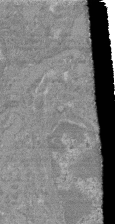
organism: Mouse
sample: Glomerulus